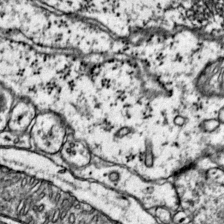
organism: Mouse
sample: Primary visual cortex